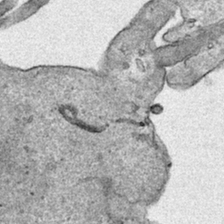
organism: Human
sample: Mitochondria in HCT116 cells